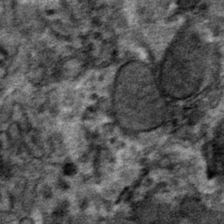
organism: Mouse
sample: Mouse hepatocytes